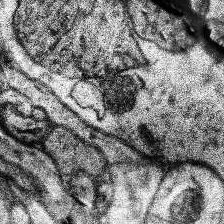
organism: Human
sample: Temporal Lobe